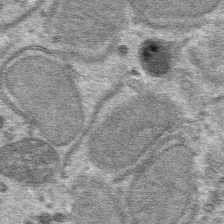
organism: Mouse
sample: Mouse hepatocytes